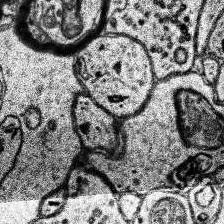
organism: Human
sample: Temporal Lobe